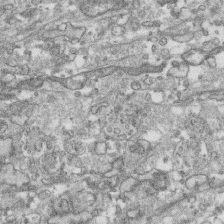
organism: Human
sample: CRL-1474